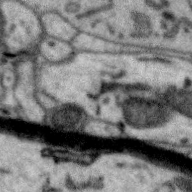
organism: Zebra finch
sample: Brain